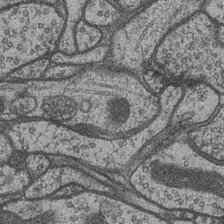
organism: Drosophila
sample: Optic medulla